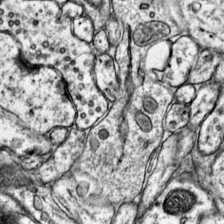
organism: Mouse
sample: Primary visual cortex